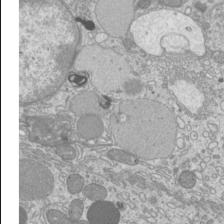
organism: Mouse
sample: Cilia; mouse epididymis